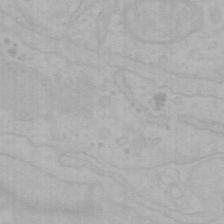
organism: Mouse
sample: Choroid plexus